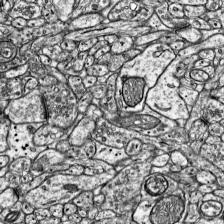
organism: Mouse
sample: Visual Cortex